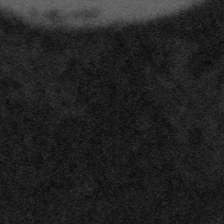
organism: Tuwongella immobilis